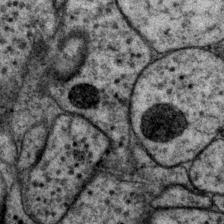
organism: P. pacificus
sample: Pharynx